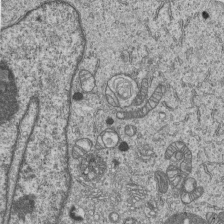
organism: Human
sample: MDA-MB-231 cells